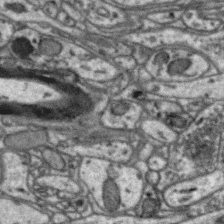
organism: Zebra finch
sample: Brain